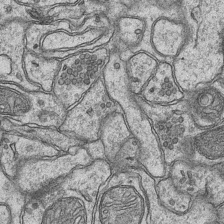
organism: Mouse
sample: CA1 Hippocampus